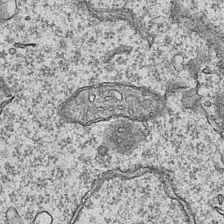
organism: Mouse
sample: CA1 Hippocampus